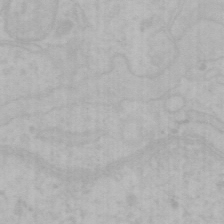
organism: Mouse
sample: Choroid plexus